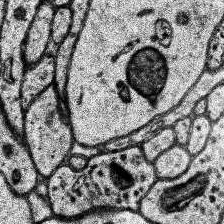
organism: Human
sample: Temporal Lobe